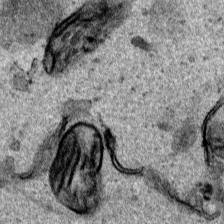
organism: Human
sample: Mitochondria in HCT116 cells